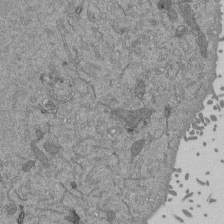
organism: Mouse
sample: ED-1 cell nuclei; centrioles